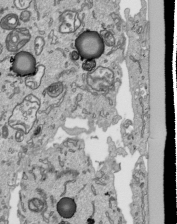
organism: Human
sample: Mitochondria in HCT116 cells